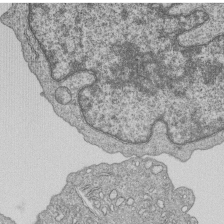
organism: Human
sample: MDA-MB-231 cells